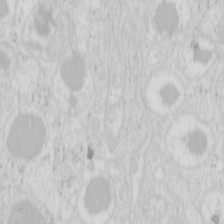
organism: Mouse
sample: Pancreas